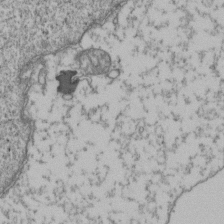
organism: Human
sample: Activated Jurkat CD4+ T cells